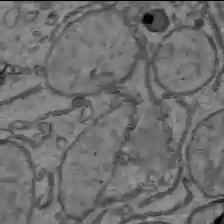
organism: C57BL Mouse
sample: Liver